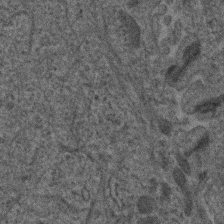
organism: Human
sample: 1205lu cells